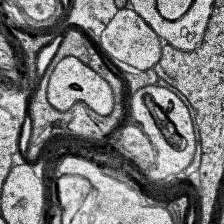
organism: Human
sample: Temporal Lobe